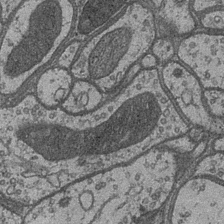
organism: Drosophila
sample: Optic medulla